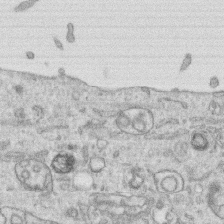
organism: Human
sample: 1205lu cells